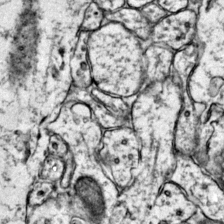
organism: Mouse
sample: Primary visual cortex